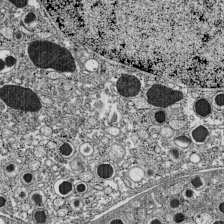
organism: C57BL Mouse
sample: Pancreatic islet